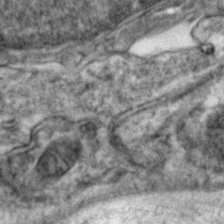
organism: Zebrafish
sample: Zebrafish embryo